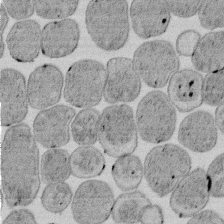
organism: E. coli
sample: Bacterial nucleoid